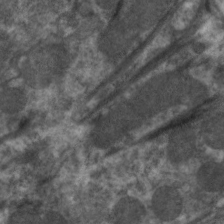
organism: C. elegans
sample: Pharynx